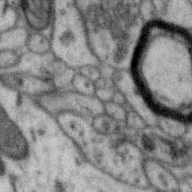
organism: Zebra finch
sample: Brain